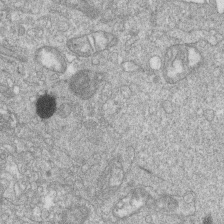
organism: Human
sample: HeLa cell HIV synapse